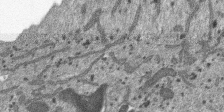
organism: Human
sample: Lung epithelial cells infected with SARS-CoV-2